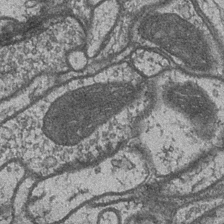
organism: Drosophila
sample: Optic medulla